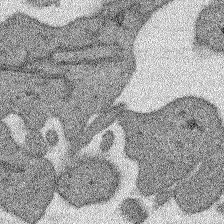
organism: Human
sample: HeLa cells